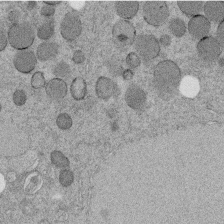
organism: C. elegans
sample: C. elegans embryo early stage